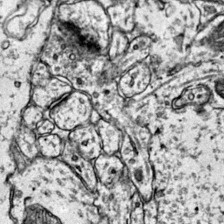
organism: Mouse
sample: Primary visual cortex